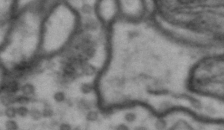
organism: Drosophila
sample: Brain